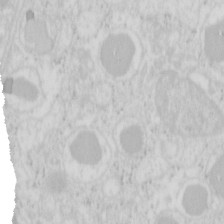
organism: Mouse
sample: Pancreas